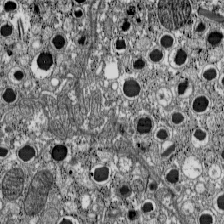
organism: C57BL Mouse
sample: Pancreatic islet